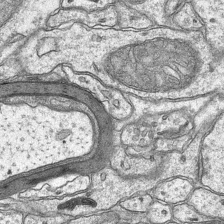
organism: Mouse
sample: CA1 Hippocampus